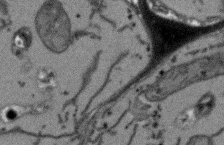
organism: Arabidopsis thaliana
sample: Root tip